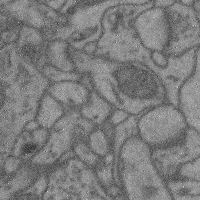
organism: Mouse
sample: Cerebral cortex